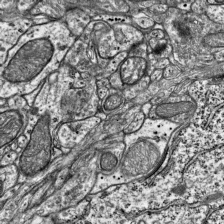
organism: Mouse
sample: Visual Cortex